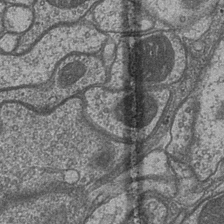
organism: Drosophila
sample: Optic medulla